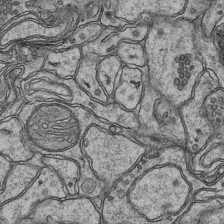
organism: Mouse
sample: CA1 Hippocampus